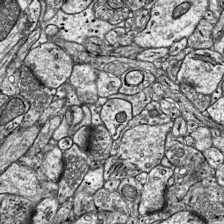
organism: Mouse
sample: Visual Cortex